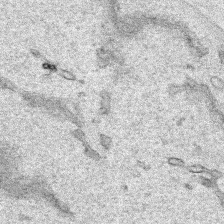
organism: Human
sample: Mitochondria in HCT116 cells